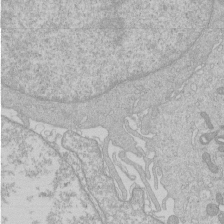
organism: Human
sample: Macrophage cells